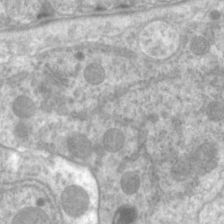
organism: C. elegans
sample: Pharynx